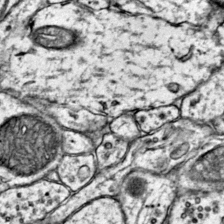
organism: Mouse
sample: Primary visual cortex